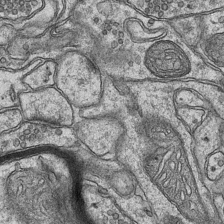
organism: Mouse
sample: CA1 Hippocampus